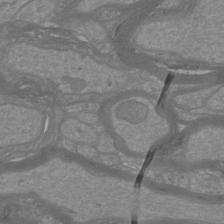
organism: Mouse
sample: Cortical neurons